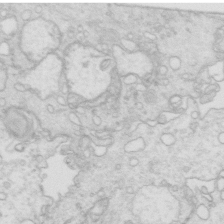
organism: Mouse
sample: Multiciliated cells